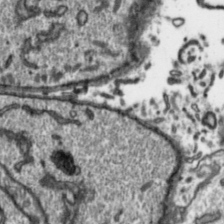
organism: Toxoplasma gondii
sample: Parasites in a vacuole inside a host cell